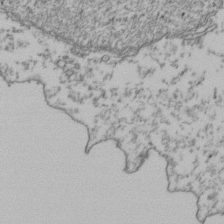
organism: Human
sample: Activated Jurkat CD4+ T cells